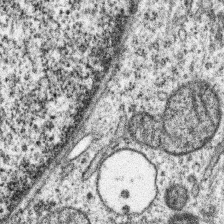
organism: Human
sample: HeLa cells